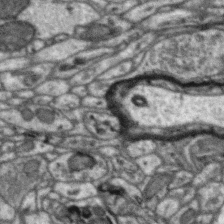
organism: Zebra finch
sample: Brain